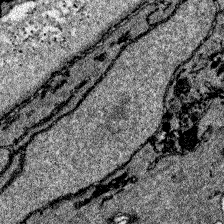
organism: Zebrafish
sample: Larval olfactory bulb